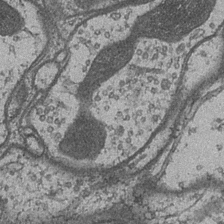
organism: Drosophila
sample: Optic medulla